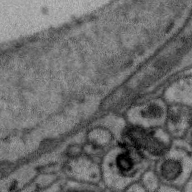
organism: Zebra finch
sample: Brain